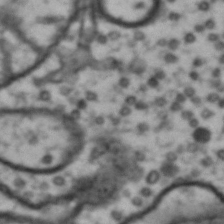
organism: Drosophila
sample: Brain